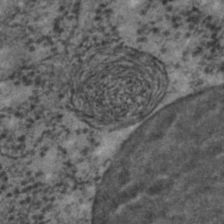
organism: C. elegans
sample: C. elegans embryo